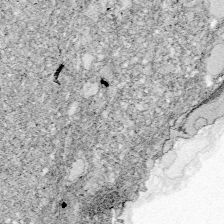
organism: Zebrafish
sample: Whole-Brain